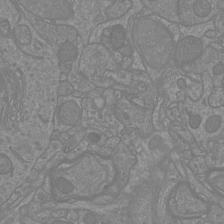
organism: Mouse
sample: Cortical neurons